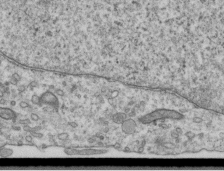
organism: Human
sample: Centriole in RPE cells